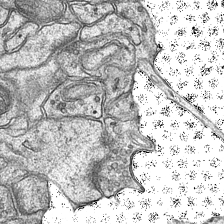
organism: Mouse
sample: CA1 Hippocampus